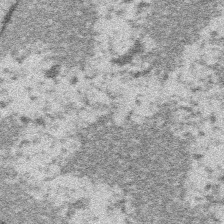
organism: Platynereis dumerilii